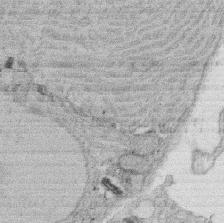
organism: Rat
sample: Salivary granule